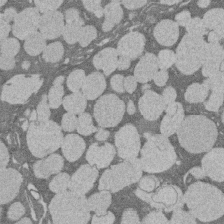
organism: Rat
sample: Salivary granule